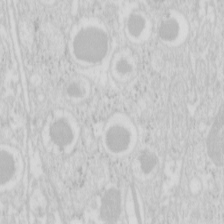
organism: Mouse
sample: Pancreas